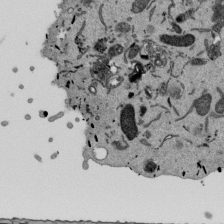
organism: Mouse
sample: ED-1 cell nuclei; centrioles